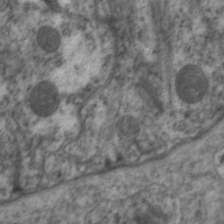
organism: C. elegans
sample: Pharynx